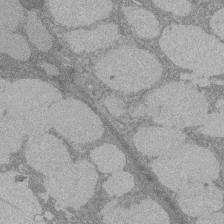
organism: Rat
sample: Salivary granule